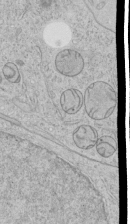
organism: Human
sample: Mitochondria in HCT116 cells